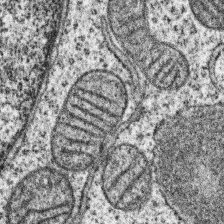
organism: Human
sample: HeLa cells